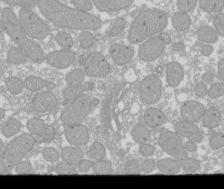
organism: Xenopus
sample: Cilia; centrioles in frog embryo cells